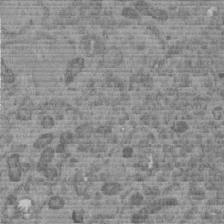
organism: C. elegans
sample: C. elegans embryo early stage